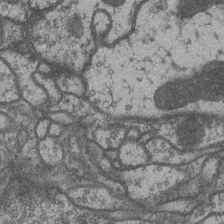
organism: Drosophila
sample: Optic medulla